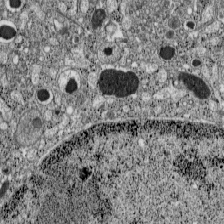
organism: C57BL Mouse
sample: Pancreatic islet